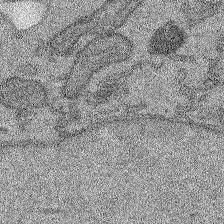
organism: Human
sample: HeLa cells